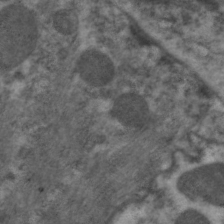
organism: C. elegans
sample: Pharynx